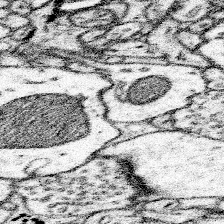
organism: Mouse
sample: Somatosensory cortex neuropil